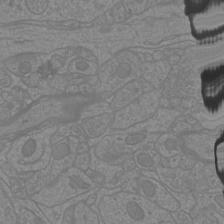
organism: Mouse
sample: Cortical neurons